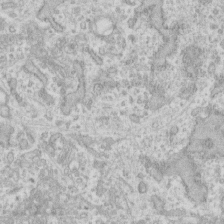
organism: Human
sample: Fibroblast cells